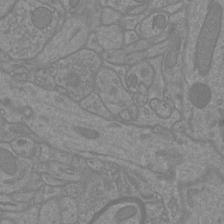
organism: Mouse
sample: Cortical neurons